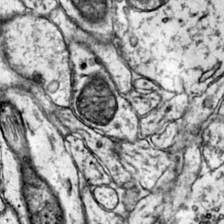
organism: Mouse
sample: Primary visual cortex